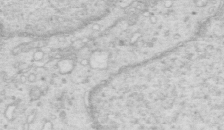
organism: Mouse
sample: Multiciliated cells